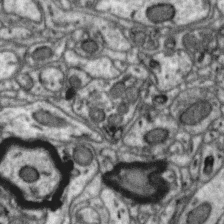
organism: Zebra finch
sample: Brain